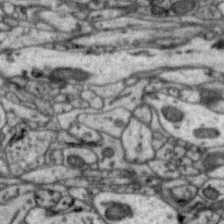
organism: Zebra finch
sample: Brain